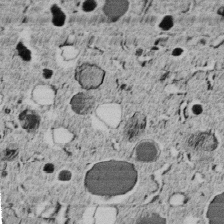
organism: C. elegans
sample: C. elegans embryo early stage